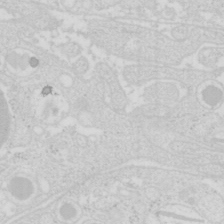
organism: Mouse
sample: Pancreas